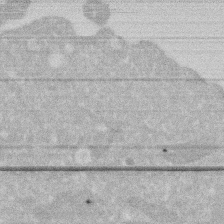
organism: Human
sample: HIV infected U937 cells